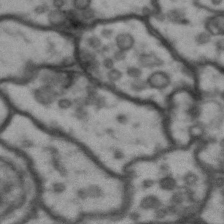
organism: Drosophila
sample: Brain